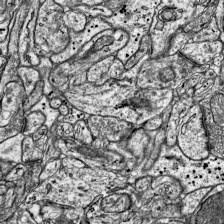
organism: Mouse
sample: Visual Cortex